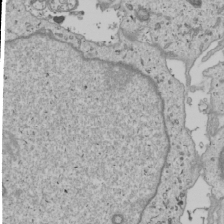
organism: Human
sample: Mitochondria in U2OS cells